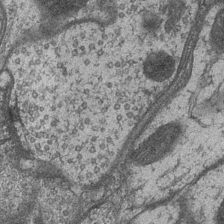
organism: Drosophila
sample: Optic medulla